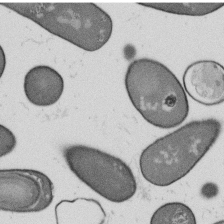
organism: B. subtilis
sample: Bacterial spore